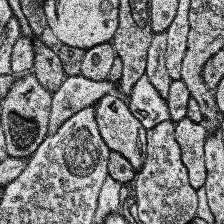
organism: Human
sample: Temporal Lobe